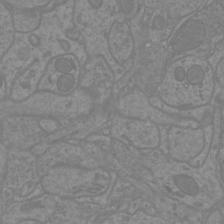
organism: Mouse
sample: Cortical neurons